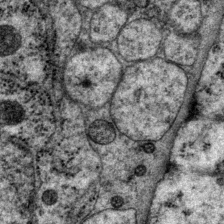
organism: P. pacificus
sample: Pharynx